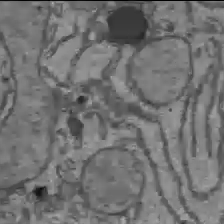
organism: C57BL Mouse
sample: Liver